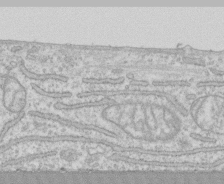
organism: Human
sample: CRL-1474